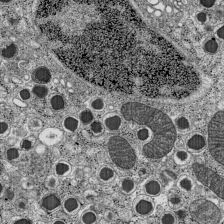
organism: C57BL Mouse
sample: Pancreatic islet